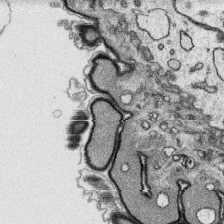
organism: Platynereis dumerilii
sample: Parapodia